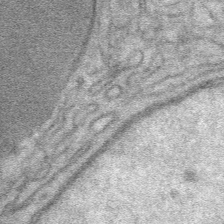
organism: Mouse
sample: Mouse Salivary gland